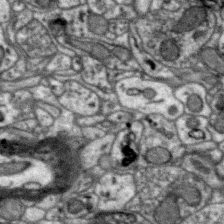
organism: Zebra finch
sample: Brain